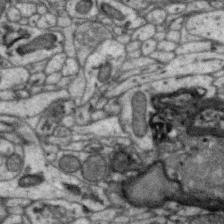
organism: Zebra finch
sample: Brain